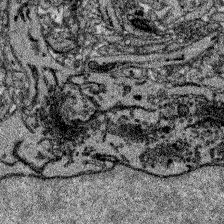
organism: Zebrafish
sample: Larval olfactory bulb